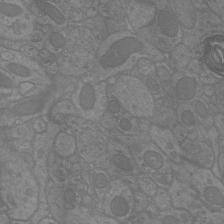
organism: Mouse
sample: Cortical neurons